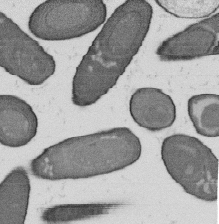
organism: B. subtilis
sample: Bacterial spore